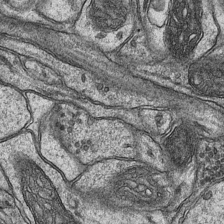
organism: Mouse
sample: CA1 Hippocampus